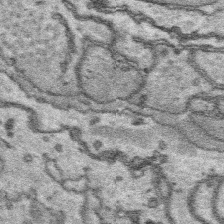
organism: Platynereis dumerilii